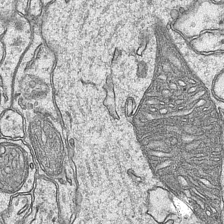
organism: Mouse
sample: CA1 Hippocampus